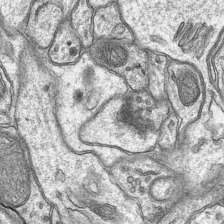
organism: Mouse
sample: CA1 Hippocampus